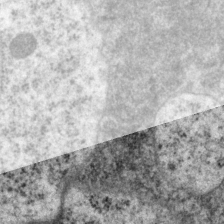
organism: P. pacificus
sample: Pharynx